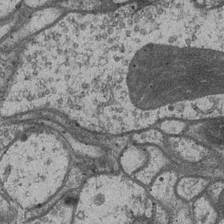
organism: Drosophila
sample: Optic medulla